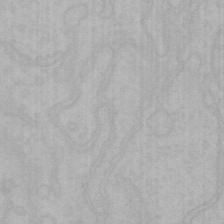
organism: Mouse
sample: Choroid plexus